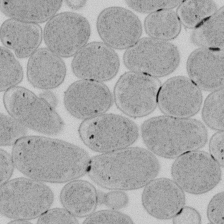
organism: E. coli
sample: Bacterial nucleoid